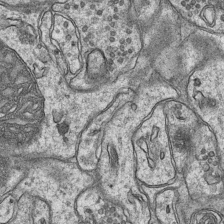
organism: Mouse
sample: CA1 Hippocampus